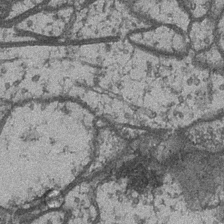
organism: Drosophila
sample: Optic medulla